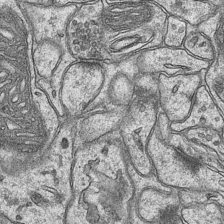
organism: Mouse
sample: CA1 Hippocampus